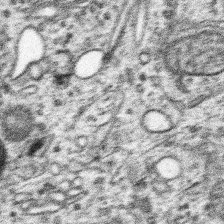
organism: Human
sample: HeLa cells